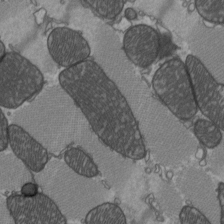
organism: C57BL Mouse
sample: Heart